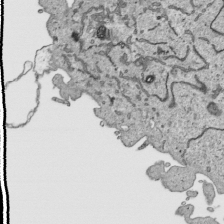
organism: Human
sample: Mitochondria in HCT116 cells